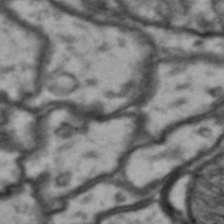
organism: Drosophila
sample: Brain